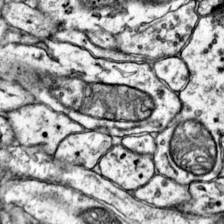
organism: Mouse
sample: Primary visual cortex